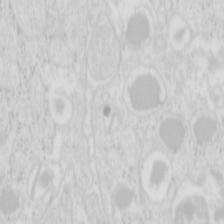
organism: Mouse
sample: Pancreas